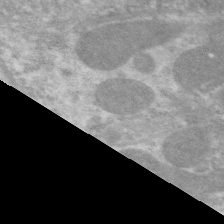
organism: C. elegans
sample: Pharynx